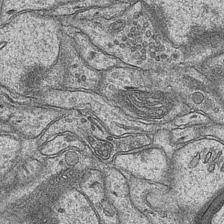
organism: Mouse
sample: CA1 Hippocampus